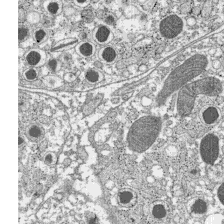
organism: C57BL Mouse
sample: Pancreatic islet